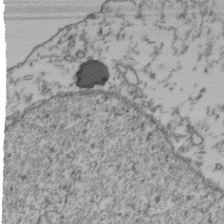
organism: Human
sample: Activated Jurkat CD4+ T cells